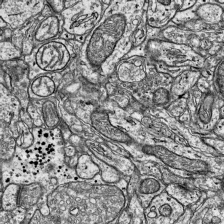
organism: Mouse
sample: Visual Cortex